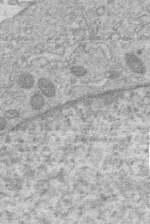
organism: Human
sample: Macrophage cells